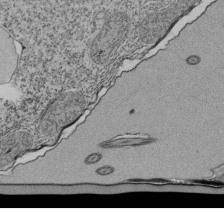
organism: Tetrahymena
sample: Cilia in tetrahymena